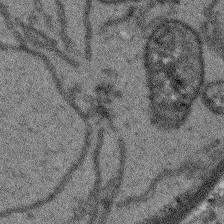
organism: Arabidopsis thaliana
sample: Root tip